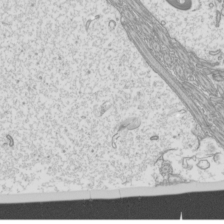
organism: Mouse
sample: Cilia; mouse epididymis